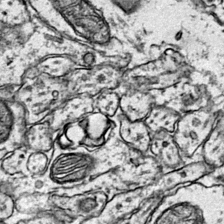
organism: Mouse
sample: Primary visual cortex